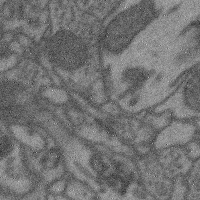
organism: Mouse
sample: Cerebral cortex